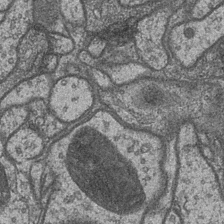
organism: Drosophila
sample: Optic medulla